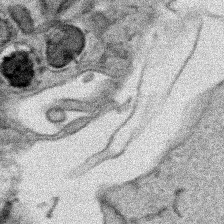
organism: Human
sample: Mitochondria in HCT116 cells